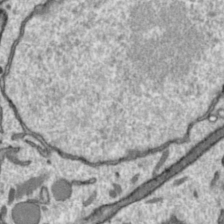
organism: Toxoplasma gondii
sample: Parasites in a vacuole inside a host cell